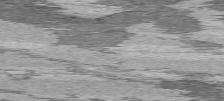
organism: C57BL Mouse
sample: Heart